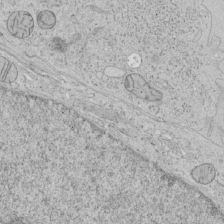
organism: Human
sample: Mitochondria in HCT116 cells